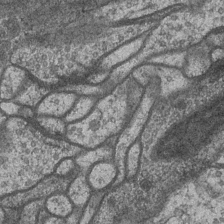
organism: Drosophila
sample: Optic medulla